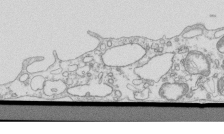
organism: Mouse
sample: Macrophages